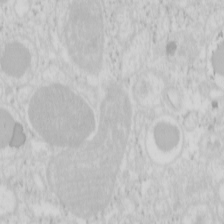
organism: Mouse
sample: Pancreas